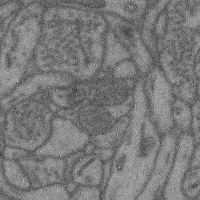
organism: Mouse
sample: Cerebral cortex